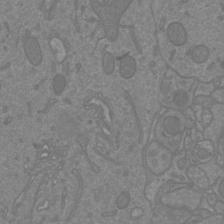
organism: Mouse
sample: Cortical neurons